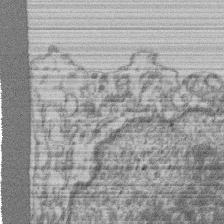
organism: Mouse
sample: T cell stromal cell synapse